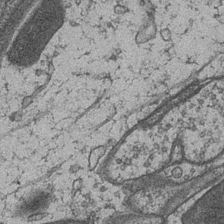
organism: Drosophila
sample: Optic medulla